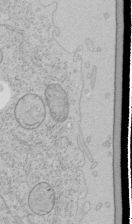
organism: Human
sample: Mitochondria in HCT116 cells